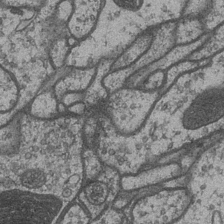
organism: Drosophila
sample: Optic medulla